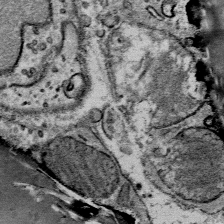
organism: Mouse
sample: Mouse Salivary gland